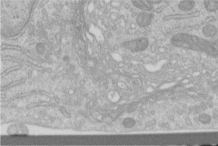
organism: Human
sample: Centriole in RPE cells